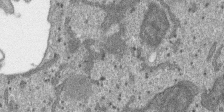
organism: Human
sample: Lung epithelial cells infected with SARS-CoV-2